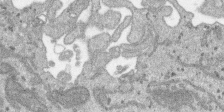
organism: Human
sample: Lung epithelial cells infected with SARS-CoV-2